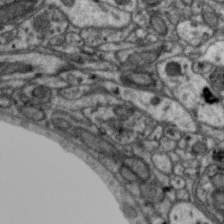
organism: Zebra finch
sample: Brain